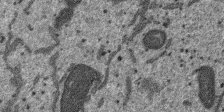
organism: Human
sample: Lung epithelial cells infected with SARS-CoV-2